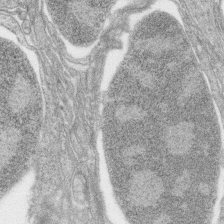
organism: Zebrafish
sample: synaptic ribbons in rod cells and cone cells